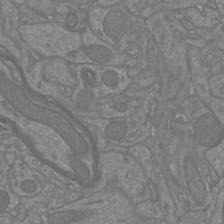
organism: Mouse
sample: Cortical neurons